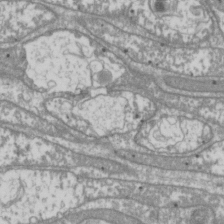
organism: Drosophila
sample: Cell division; meiosis; drosophila spermatocytes